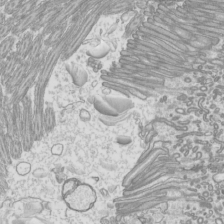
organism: Mouse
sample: Cilia; mouse epididymis